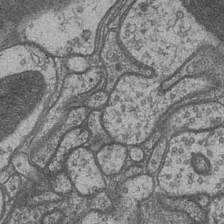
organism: Drosophila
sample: Optic medulla